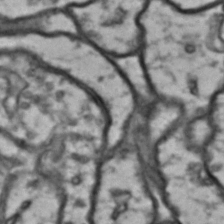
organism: Drosophila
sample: Brain